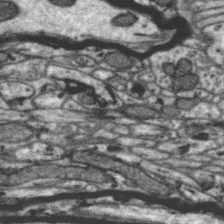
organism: Zebra finch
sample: Brain